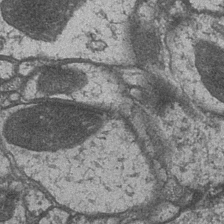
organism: Drosophila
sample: Optic medulla